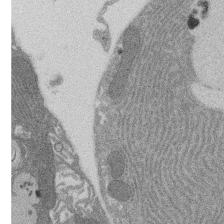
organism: Rat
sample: Salivary granule